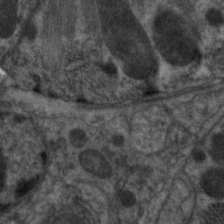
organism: C. elegans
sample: Pharynx